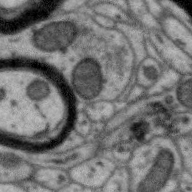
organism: Zebra finch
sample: Brain